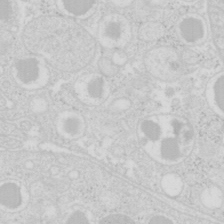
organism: Mouse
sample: Pancreas